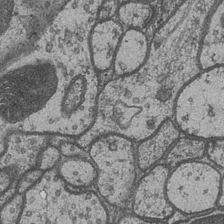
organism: Drosophila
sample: Optic medulla